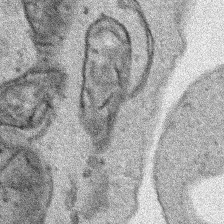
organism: Human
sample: Mitochondria in HCT116 cells